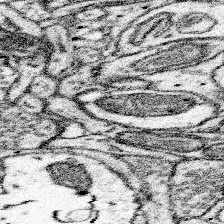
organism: Mouse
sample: Somatosensory cortex neuropil